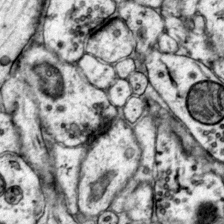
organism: Mouse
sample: Primary visual cortex